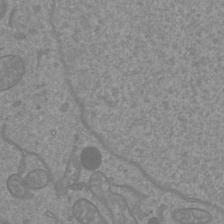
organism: Mouse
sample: Cortical neurons